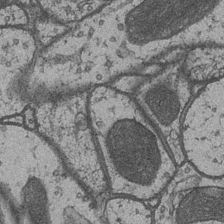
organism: Drosophila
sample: Optic medulla